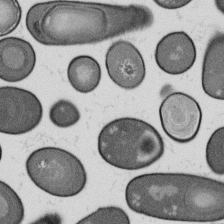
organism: B. subtilis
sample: Bacterial spore